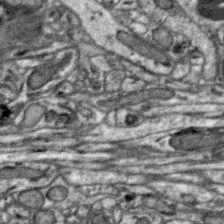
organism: Zebra finch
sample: Brain